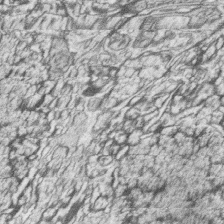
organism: Zebrafish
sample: synaptic ribbons in rod cells and cone cells